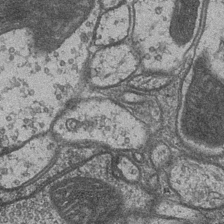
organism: Drosophila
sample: Optic medulla